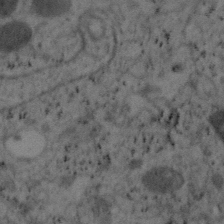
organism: Human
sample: HeLa cells